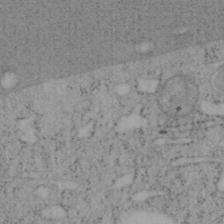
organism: Mouse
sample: OT-I killer T cells with ID8 ovarian cancer cells